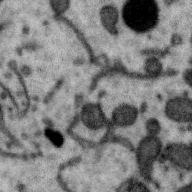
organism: Zebra finch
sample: Brain